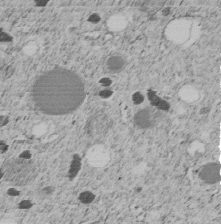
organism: C. elegans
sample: C. elegans embryo early stage